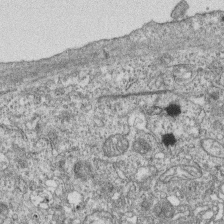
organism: Human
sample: HeLa cell HIV synapse